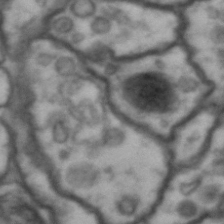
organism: Drosophila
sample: Brain